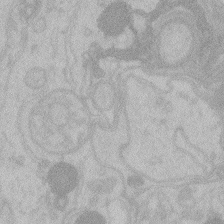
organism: Zebrafish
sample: Macrophage infected with Toxoplasma gondii